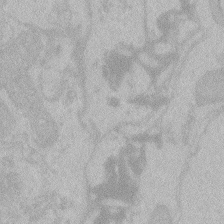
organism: Zebrafish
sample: Macrophage infected with Toxoplasma gondii